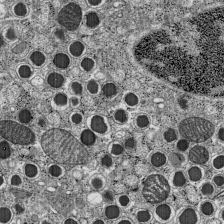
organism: C57BL Mouse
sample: Pancreatic islet